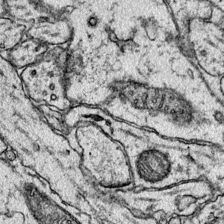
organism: Mouse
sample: Primary visual cortex